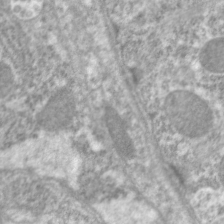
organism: C. elegans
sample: Pharynx